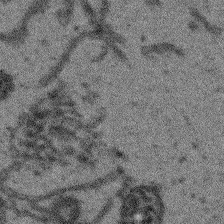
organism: Arabidopsis thaliana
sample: Root tip